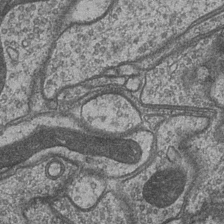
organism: Drosophila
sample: Optic medulla